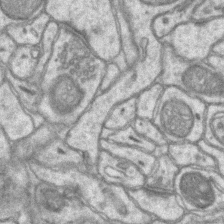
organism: Mouse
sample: CA1 Hippocampus